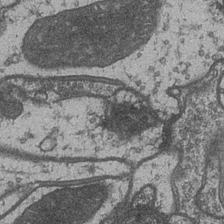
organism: Drosophila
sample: Optic medulla